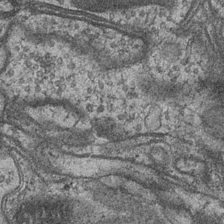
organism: Drosophila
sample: Optic medulla